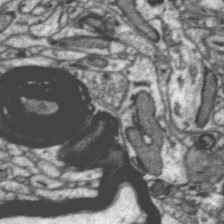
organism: Zebra finch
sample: Brain